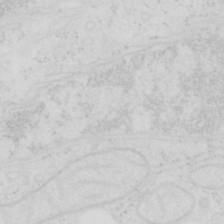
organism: Human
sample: SUM-159 cell